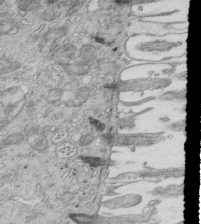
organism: Mouse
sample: Multiciliated cells